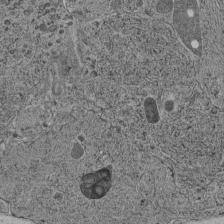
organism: C. elegans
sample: C. elegans pharynx